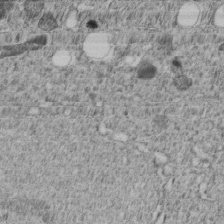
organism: C. elegans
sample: C. elegans embryo early stage